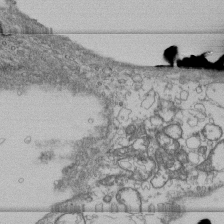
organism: Human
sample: Fibroblast cells